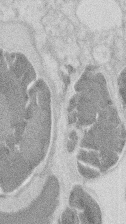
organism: Mouse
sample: T cell stromal cell synapse